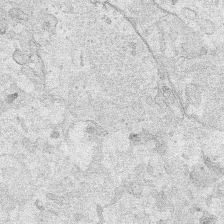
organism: Human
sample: Mitochondria in HCT116 cells